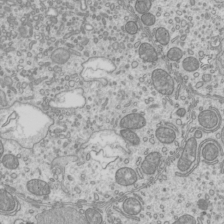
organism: Mouse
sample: Cilia; mouse epididymis